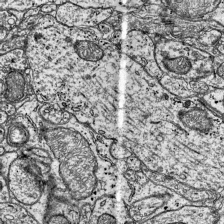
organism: Mouse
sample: Visual Cortex